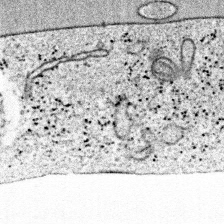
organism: Human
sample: HeLa cells